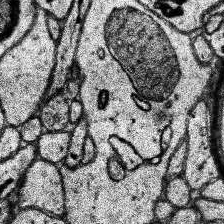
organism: Human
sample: Temporal Lobe